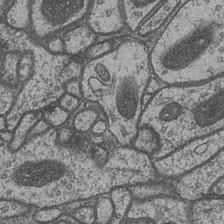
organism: Drosophila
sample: Optic medulla